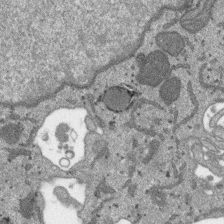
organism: Human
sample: Lung epithelial cells infected with SARS-CoV-2